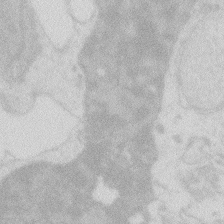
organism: Zebrafish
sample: Macrophage